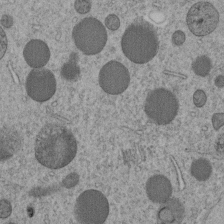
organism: C. elegans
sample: C. elegans embryo early stage